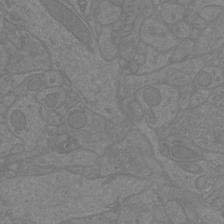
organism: Mouse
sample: Cortical neurons